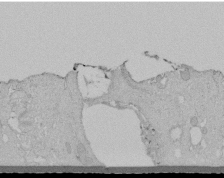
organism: Human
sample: Melanocyte Keratinocyte synapse skin construct